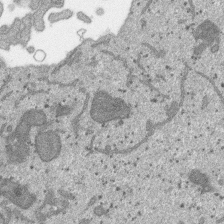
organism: Human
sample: Lung epithelial cells infected with SARS-CoV-2